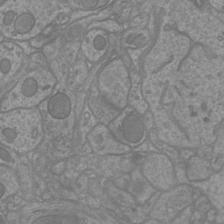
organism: Mouse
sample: Cortical neurons